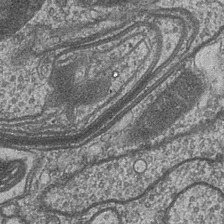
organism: Drosophila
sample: Optic medulla